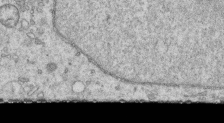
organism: Human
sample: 1205lu cells